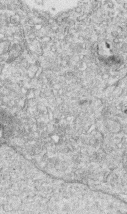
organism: Human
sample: HeLa cell HIV synapse